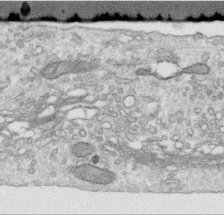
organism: Human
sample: Centriole in RPE cells